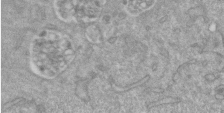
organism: Mouse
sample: ED-1 cell nuclei; centrioles